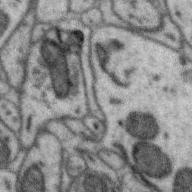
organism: Zebra finch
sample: Brain